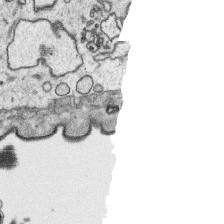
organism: Platynereis dumerilii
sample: Parapodia